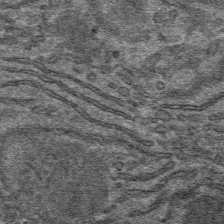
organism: Mouse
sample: Mouse hepatocytes